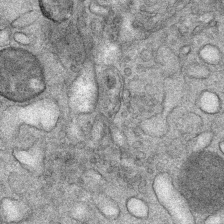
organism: Mouse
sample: Mouse Salivary gland